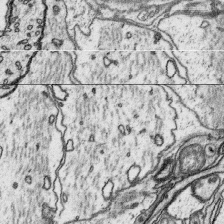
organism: Platynereis dumerilii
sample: Parapodia